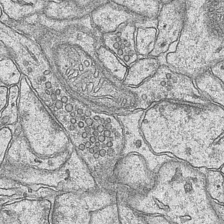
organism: Mouse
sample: CA1 Hippocampus